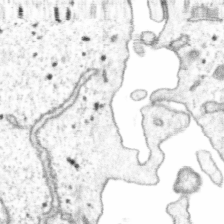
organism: Human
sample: HeLa cells